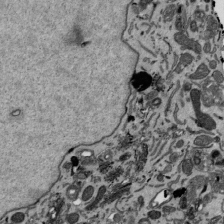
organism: Mouse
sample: ED-1 cell nuclei; centrioles